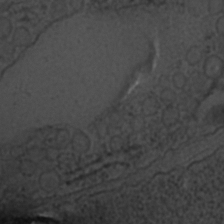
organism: C. elegans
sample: C. elegans embryo